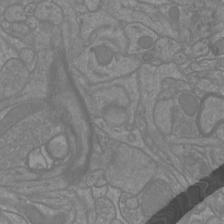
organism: Mouse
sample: Cortical neurons